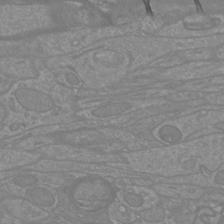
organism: Mouse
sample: Cortical neurons